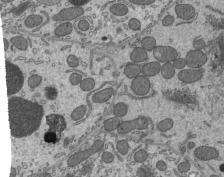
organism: Mouse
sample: Mouse epididymis efferent ductule cilia